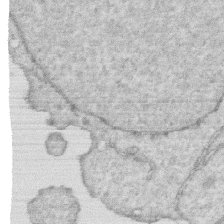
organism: Human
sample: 1205lu cells